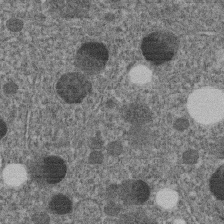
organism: C. elegans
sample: C. elegans embryo early stage